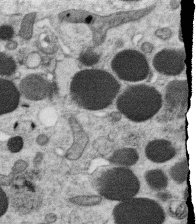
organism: C. elegans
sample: C. elegans oocyte; sperm cells